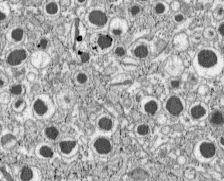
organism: C57BL Mouse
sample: Pancreatic islet